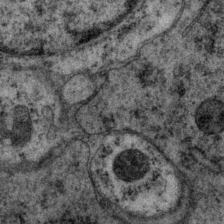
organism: P. pacificus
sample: Pharynx